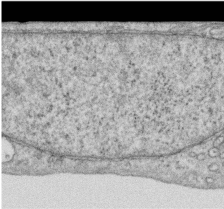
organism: Human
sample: Centriole in RPE cells